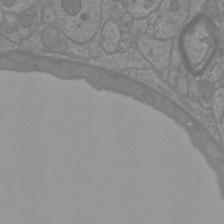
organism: Mouse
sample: Cortical neurons